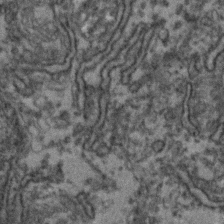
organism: Zebrafish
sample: Zebrafish embryo